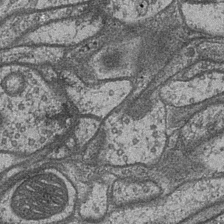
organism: Drosophila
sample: Optic medulla